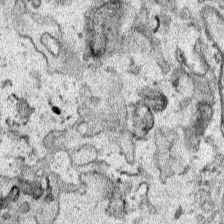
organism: Human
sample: Mitochondria in HCT116 cells